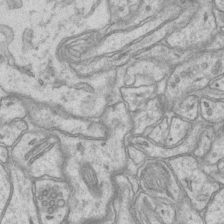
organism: Mouse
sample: CA1 Hippocampus